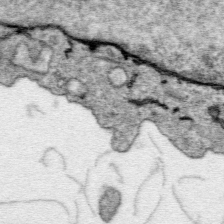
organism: Human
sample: HeLa cells